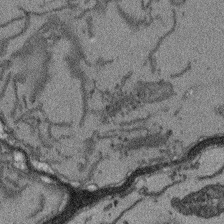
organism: Arabidopsis thaliana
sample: Root tip